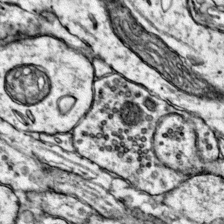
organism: Mouse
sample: Primary visual cortex